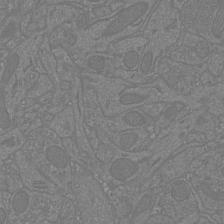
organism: Mouse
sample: Cortical neurons